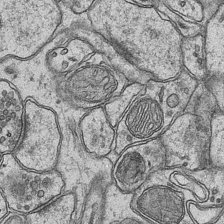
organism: Mouse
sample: CA1 Hippocampus